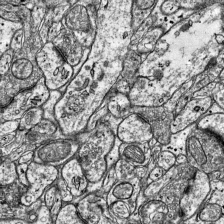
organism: Mouse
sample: Visual Cortex